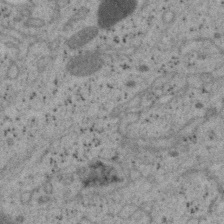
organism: Human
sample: HeLa cells